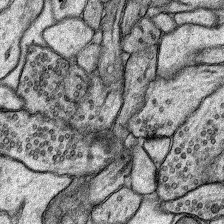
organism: Rat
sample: Hippocampus